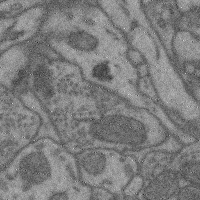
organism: Mouse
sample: Cerebral cortex